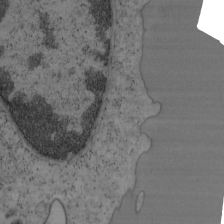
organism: Mouse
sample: OT-I killer T cells with ID8 ovarian cancer cells